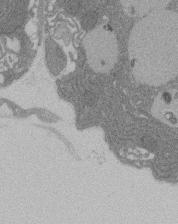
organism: Rat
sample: Salivary granule